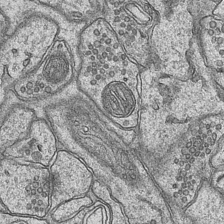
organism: Mouse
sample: CA1 Hippocampus